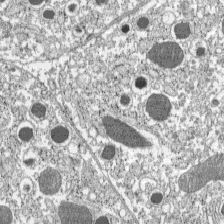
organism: C57BL Mouse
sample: Pancreatic islet